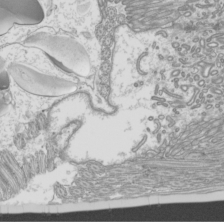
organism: Mouse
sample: Cilia; mouse epididymis